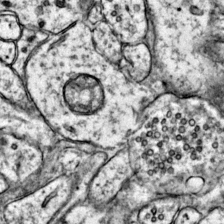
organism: Mouse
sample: Primary visual cortex